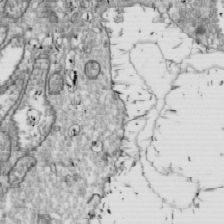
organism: Drosophila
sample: Cell division; meiosis; drosophila spermatocytes